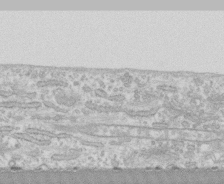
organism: Human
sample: CRL-1474